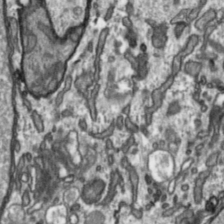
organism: Toxoplasma gondii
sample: Parasites in a vacuole inside a host cell